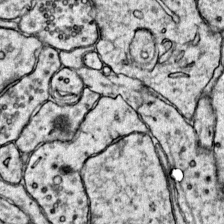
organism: Mouse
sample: Primary visual cortex